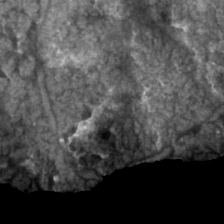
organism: Human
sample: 1205lu cells